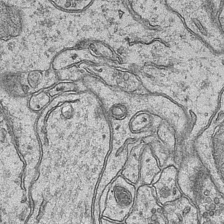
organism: Mouse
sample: CA1 Hippocampus